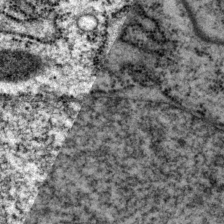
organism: P. pacificus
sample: Pharynx